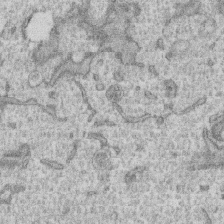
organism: Human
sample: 1205lu cells